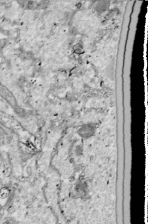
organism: Drosophila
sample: Cell division; meiosis; drosophila spermatocytes